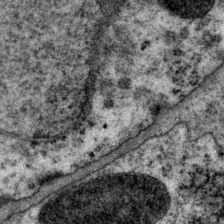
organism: P. pacificus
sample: Pharynx